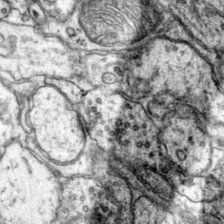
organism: Mouse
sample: Primary visual cortex